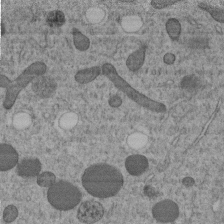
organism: C. elegans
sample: C. elegans embryo early stage